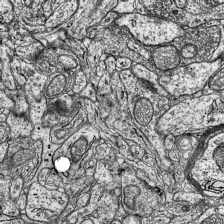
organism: Mouse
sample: Visual Cortex